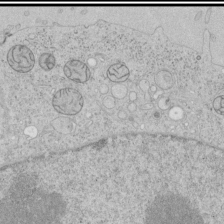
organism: Human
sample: Mitochondria in HCT116 cells